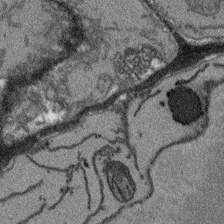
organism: Arabidopsis thaliana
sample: Root tip